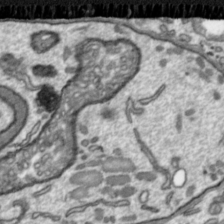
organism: Toxoplasma gondii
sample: Parasites in a vacuole inside a host cell